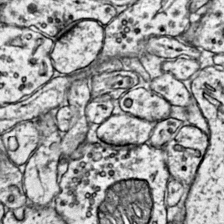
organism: Mouse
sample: Primary visual cortex